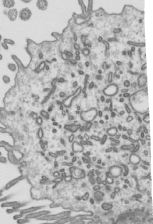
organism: Mouse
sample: Mouse epididymis efferent ductule cilia